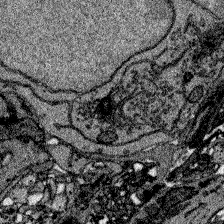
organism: Zebrafish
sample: Larval olfactory bulb